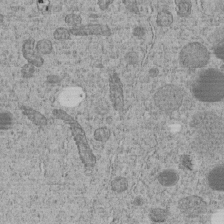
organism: C. elegans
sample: C. elegans embryo early stage